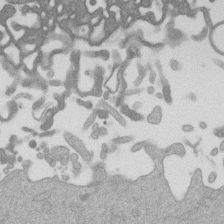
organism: Mouse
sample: Dividing mouse embryo 1 cell stage